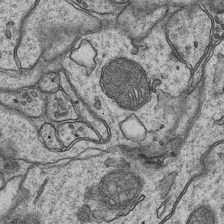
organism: Mouse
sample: CA1 Hippocampus